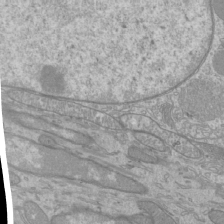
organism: Mouse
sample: Cilia; mouse epididymis